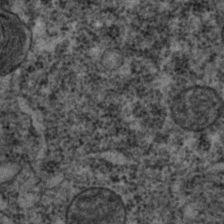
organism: C. elegans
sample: C. elegans embryo